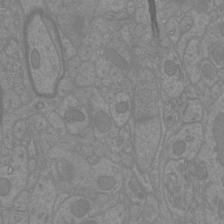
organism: Mouse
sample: Cortical neurons